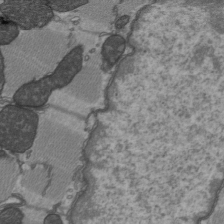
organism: C57BL Mouse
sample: Heart